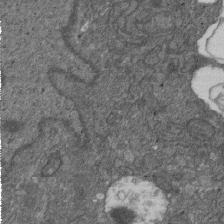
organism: Drosophila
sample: Nephrocyte